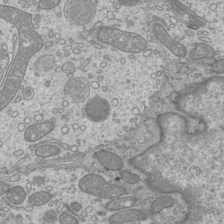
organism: Mouse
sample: Cilia; mouse epididymis